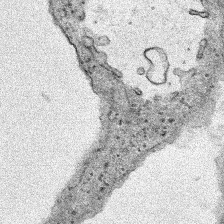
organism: Human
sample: Mitochondria in HCT116 cells